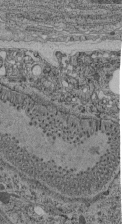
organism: C. elegans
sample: C. elegans pharynx